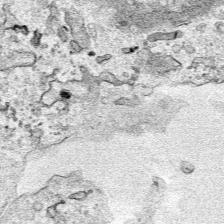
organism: Human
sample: Mitochondria in HCT116 cells